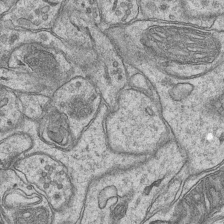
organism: Mouse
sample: CA1 Hippocampus